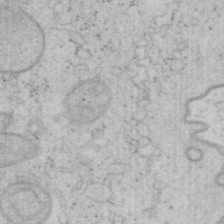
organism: Human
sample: HeLa cells